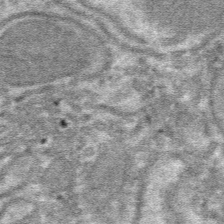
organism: Mouse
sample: Mouse hepatocytes